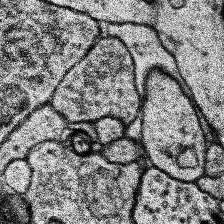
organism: Human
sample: Temporal Lobe